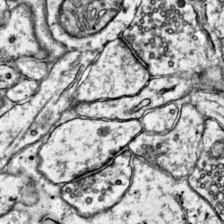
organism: Mouse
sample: Primary visual cortex